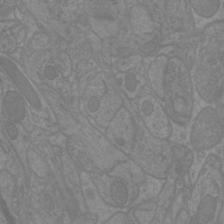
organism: Mouse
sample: Cortical neurons